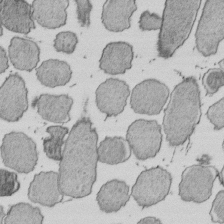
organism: E. coli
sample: Bacterial nucleoid